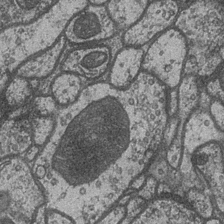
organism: Drosophila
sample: Optic medulla